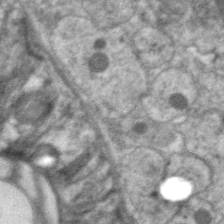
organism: C. elegans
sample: Pharynx